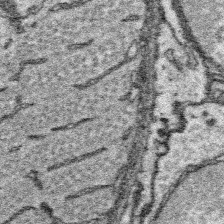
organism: Platynereis dumerilii